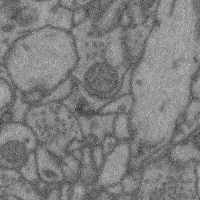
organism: Mouse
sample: Cerebral cortex